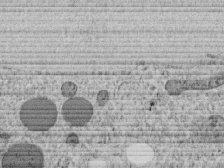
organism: C. elegans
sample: C. elegans embryo early stage